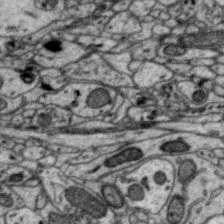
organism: Zebra finch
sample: Brain